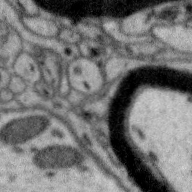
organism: Zebra finch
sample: Brain